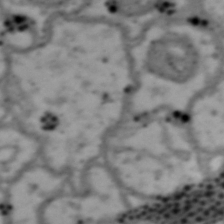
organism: Drosophila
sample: Brain